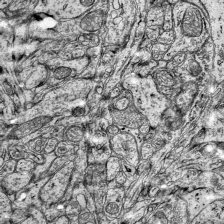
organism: Mouse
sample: Visual Cortex